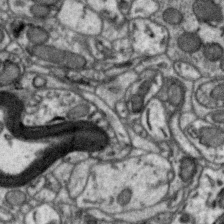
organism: Zebra finch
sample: Brain